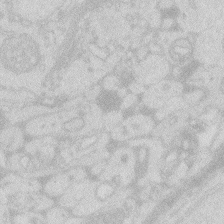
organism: Zebrafish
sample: Macrophage